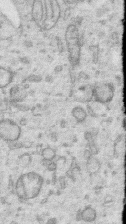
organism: Human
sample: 1205lu cells